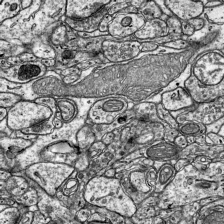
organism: Mouse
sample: Visual Cortex